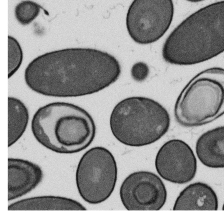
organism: B. subtilis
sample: Bacterial spore